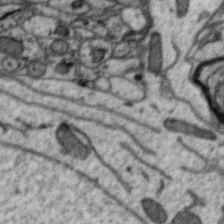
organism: Zebra finch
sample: Brain